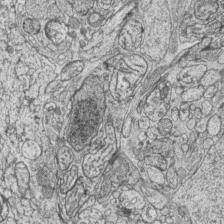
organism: Zebrafish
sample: synaptic ribbons in rod cells and cone cells